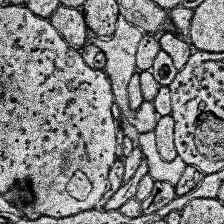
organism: Human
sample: Temporal Lobe